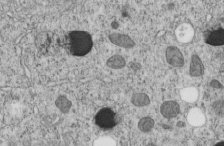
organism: C. elegans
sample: C. elegans embryo early stage